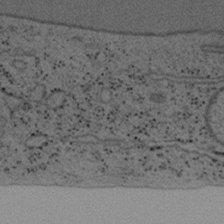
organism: Human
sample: HeLa cells